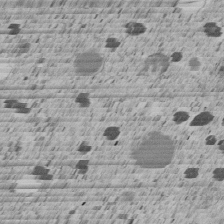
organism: C. elegans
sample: C. elegans embryo early stage